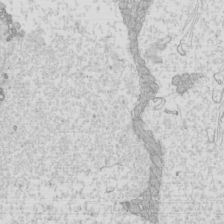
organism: Mouse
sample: Cilia; mouse epididymis